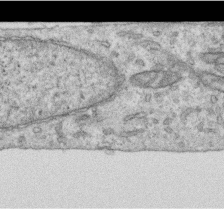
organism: Human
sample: Centriole in RPE cells